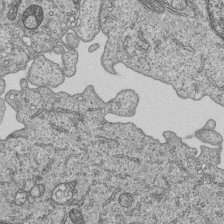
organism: Human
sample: MDA-MB-231 cells